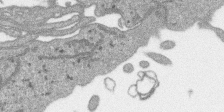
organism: Human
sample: Lung epithelial cells infected with SARS-CoV-2